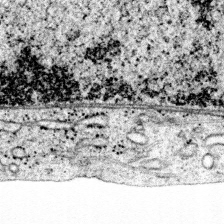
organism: Human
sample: HeLa cells